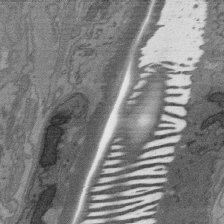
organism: C. elegans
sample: AFD neurons C. elegans